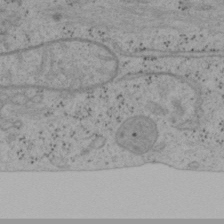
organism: Human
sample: HeLa cells